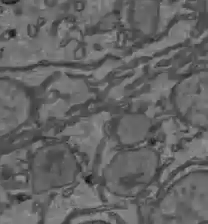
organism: C57BL Mouse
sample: Liver